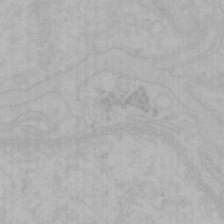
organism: Mouse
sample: Choroid plexus